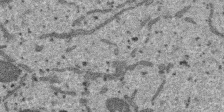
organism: Human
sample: Lung epithelial cells infected with SARS-CoV-2